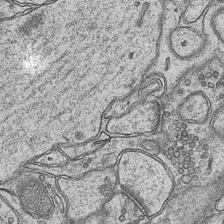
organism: Mouse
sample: CA1 Hippocampus